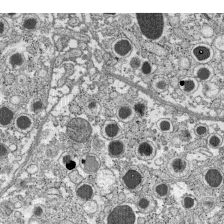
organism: C57BL Mouse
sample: Pancreatic islet